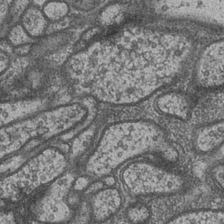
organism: Drosophila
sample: Optic medulla